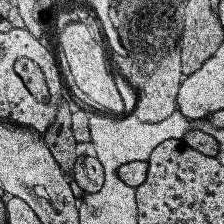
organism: Human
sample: Temporal Lobe